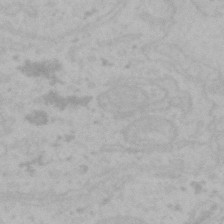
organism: Mouse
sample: Choroid plexus